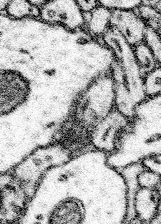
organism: Mouse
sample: Somatosensory cortex neuropil